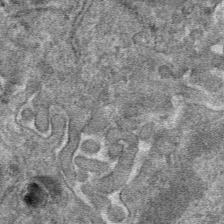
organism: Mouse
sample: Mouse hepatocytes